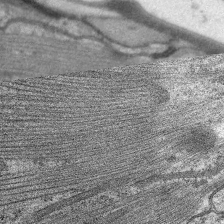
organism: C. elegans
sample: Pharynx